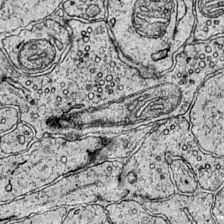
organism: Mouse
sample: Primary visual cortex